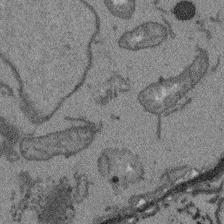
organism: Arabidopsis thaliana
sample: Root tip